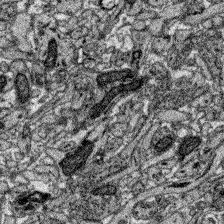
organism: Zebrafish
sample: Larval olfactory bulb